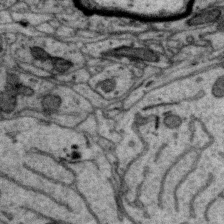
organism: Zebra finch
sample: Brain